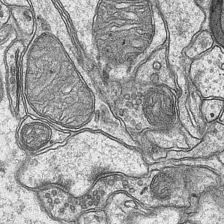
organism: Mouse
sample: CA1 Hippocampus